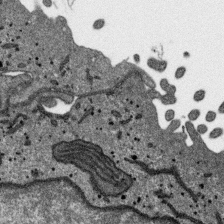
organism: Human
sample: Lung epithelial cells, uninfected (mock) control